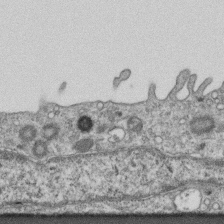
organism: Mouse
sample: Centriole in ependymal cells